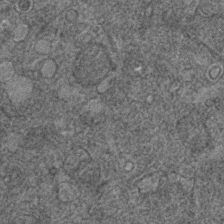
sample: Trachea